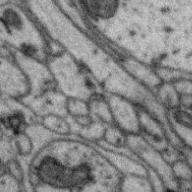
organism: Zebra finch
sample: Brain